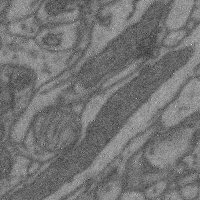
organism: Mouse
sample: Cerebral cortex